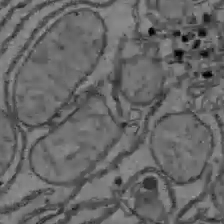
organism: C57BL Mouse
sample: Liver